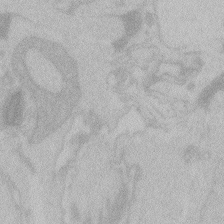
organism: Zebrafish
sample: Macrophage infected with Toxoplasma gondii